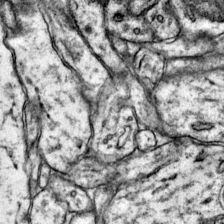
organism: Mouse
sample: Primary visual cortex